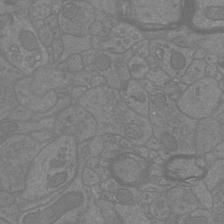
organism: Mouse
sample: Cortical neurons